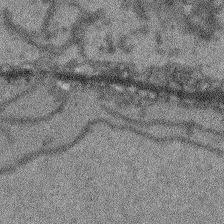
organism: Arabidopsis thaliana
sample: Root tip